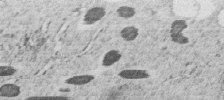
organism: C. elegans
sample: C. elegans embryo early stage